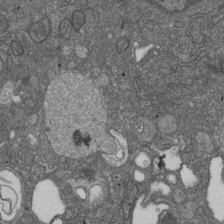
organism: Drosophila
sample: Nephrocyte